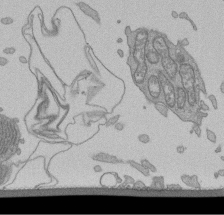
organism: Human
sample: Retinal organoid Rod and Cone cells